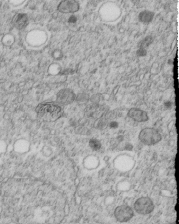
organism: C. elegans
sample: C. elegans embryo early stage